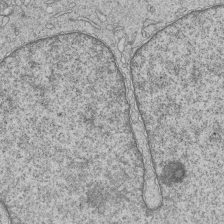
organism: Human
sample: MDA-MB-231 cells